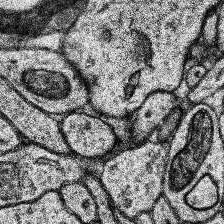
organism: Human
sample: Temporal Lobe